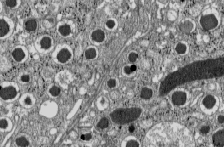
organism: C57BL Mouse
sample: Pancreatic islet